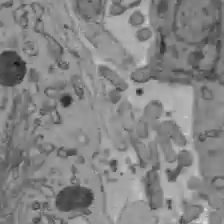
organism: C57BL Mouse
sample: Liver